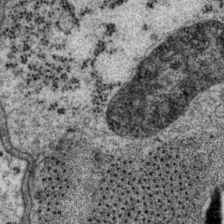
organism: P. pacificus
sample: Pharynx